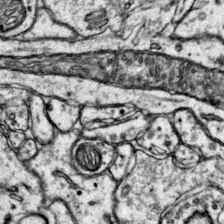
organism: Mouse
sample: Primary visual cortex